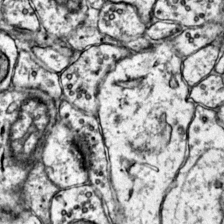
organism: Mouse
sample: Primary visual cortex